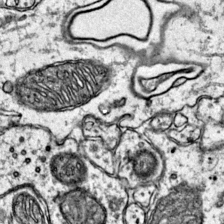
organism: Mouse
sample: Primary visual cortex